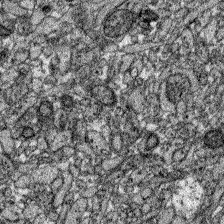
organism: Zebrafish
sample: Larval olfactory bulb